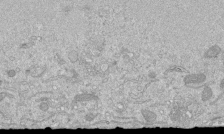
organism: Mouse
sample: ED-1 cell nuclei; centrioles